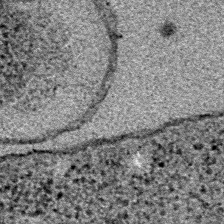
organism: E. coli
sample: E. Coli Bacteria